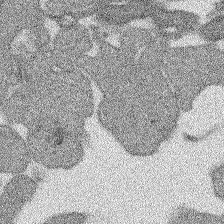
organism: Human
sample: HeLa cells